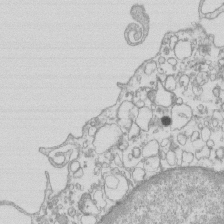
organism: Mouse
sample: Macrophages